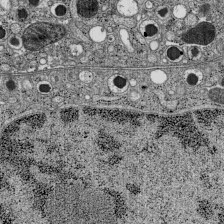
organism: C57BL Mouse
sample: Pancreatic islet